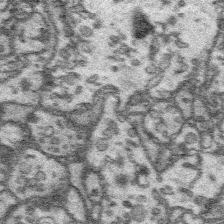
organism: Platynereis dumerilii